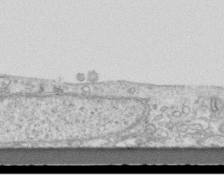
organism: Mouse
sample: Centriole in ependymal cells